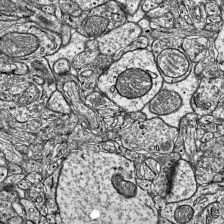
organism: Mouse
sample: Visual Cortex